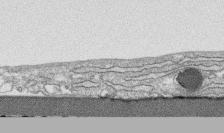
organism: Human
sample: CRL-1474